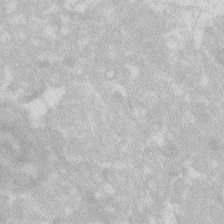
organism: Zebrafish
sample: Macrophage